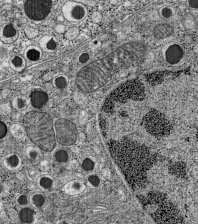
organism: C57BL Mouse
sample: Pancreatic islet